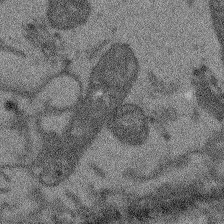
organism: Arabidopsis thaliana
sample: Root tip